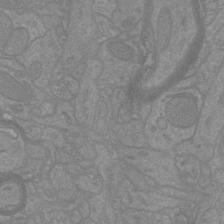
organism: Mouse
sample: Cortical neurons